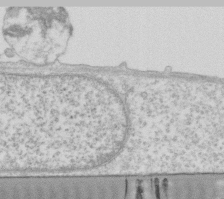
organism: Human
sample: Fibroblast cells